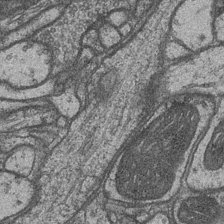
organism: Drosophila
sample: Optic medulla